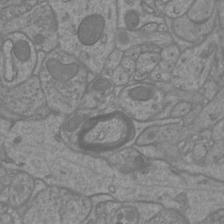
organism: Mouse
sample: Cortical neurons